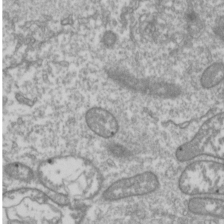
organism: Drosophila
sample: Cell division; meiosis; drosophila spermatocytes